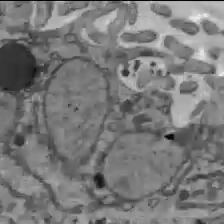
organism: C57BL Mouse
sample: Liver